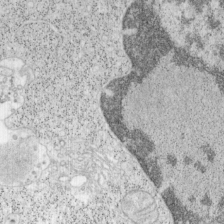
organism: Mouse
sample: OT-I killer T cells with ID8 ovarian cancer cells